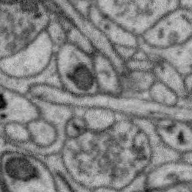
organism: Zebra finch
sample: Brain